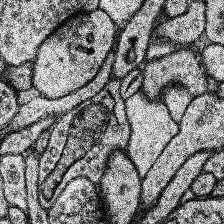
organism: Human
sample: Temporal Lobe